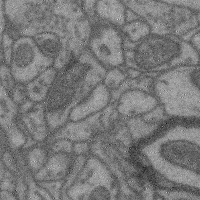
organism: Mouse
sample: Cerebral cortex